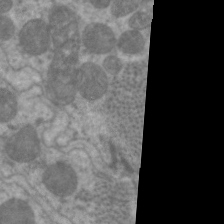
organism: C. elegans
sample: Pharynx